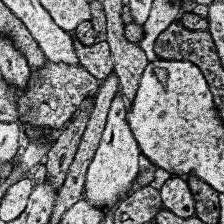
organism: Human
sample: Temporal Lobe